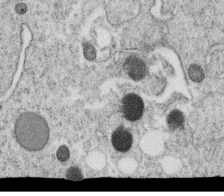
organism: C. elegans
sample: C. elegans oocyte; sperm cells